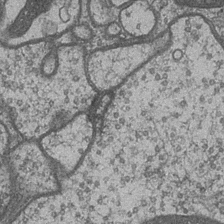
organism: Drosophila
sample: Optic medulla